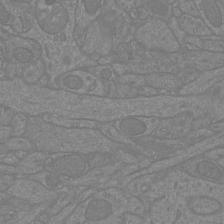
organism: Mouse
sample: Cortical neurons